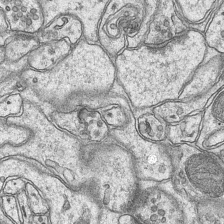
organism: Mouse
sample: CA1 Hippocampus